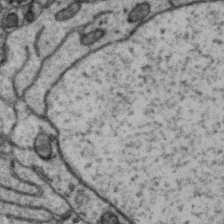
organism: Zebra finch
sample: Brain